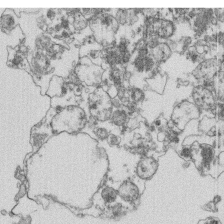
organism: Human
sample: HeLa cell HIV synapse